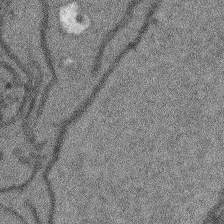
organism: Arabidopsis thaliana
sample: Root tip